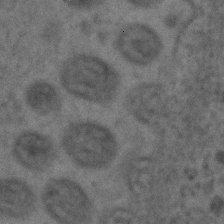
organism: C. elegans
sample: C. elegans embryo